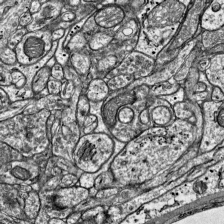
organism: Mouse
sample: Visual Cortex